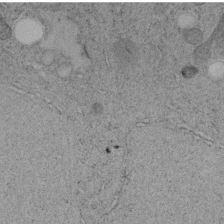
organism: C. elegans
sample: C. elegans embryo early stage